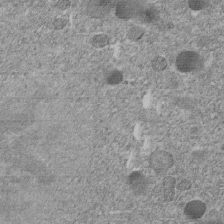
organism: C. elegans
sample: C. elegans embryo early stage